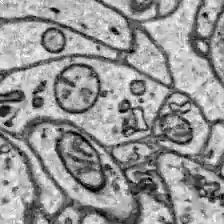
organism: Zebrafish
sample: Brain